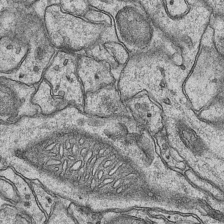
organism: Mouse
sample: CA1 Hippocampus